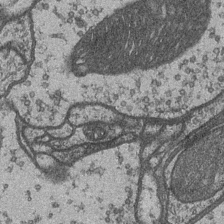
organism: Drosophila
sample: Optic medulla